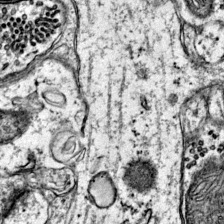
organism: Mouse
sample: Primary visual cortex